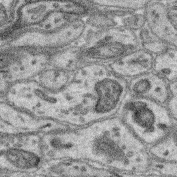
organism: Mouse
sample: Retina